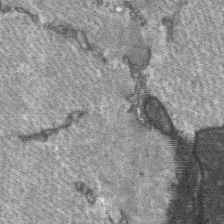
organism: C57BL Mouse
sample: Soleus